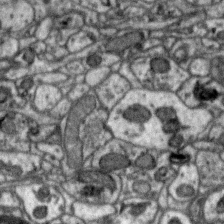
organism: Zebra finch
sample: Brain